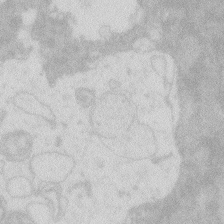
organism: Zebrafish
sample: Macrophage